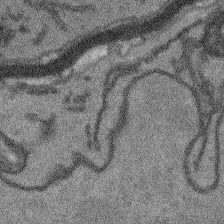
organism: Arabidopsis thaliana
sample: Root tip